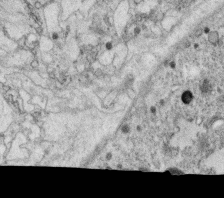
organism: C. elegans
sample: C. elegans oocyte; sperm cells